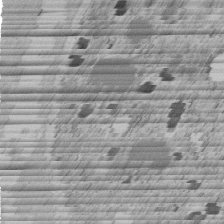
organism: C. elegans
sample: C. elegans embryo early stage